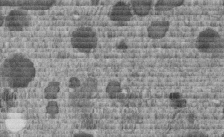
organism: C. elegans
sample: C. elegans embryo early stage